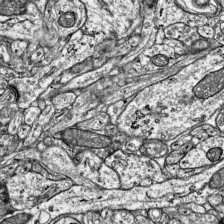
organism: Mouse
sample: Visual Cortex